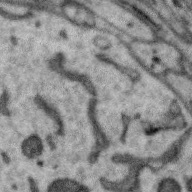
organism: Zebra finch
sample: Brain